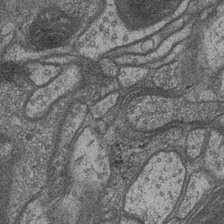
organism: Drosophila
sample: Optic medulla